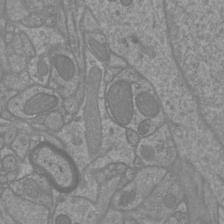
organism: Mouse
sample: Cortical neurons